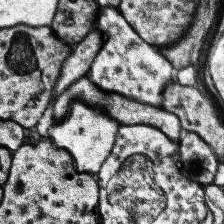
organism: Human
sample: Temporal Lobe